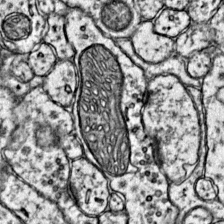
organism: Mouse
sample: Primary visual cortex